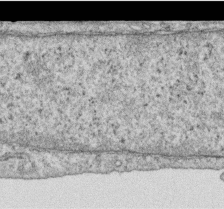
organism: Human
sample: Centriole in RPE cells